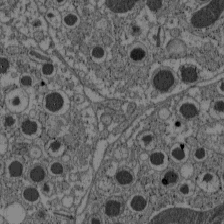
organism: C57BL Mouse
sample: Pancreatic islet